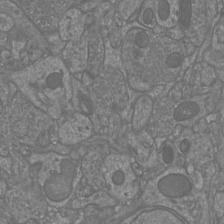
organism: Mouse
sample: Cortical neurons